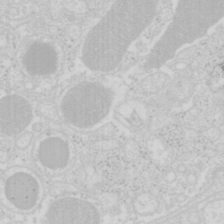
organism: Mouse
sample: Pancreas